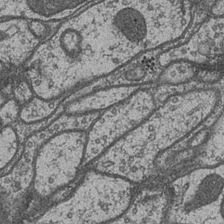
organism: Drosophila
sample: Optic medulla